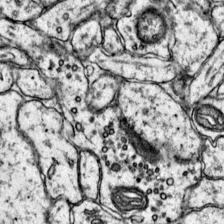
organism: Mouse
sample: Primary visual cortex